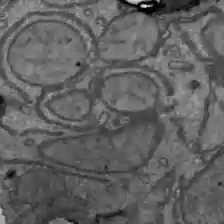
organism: C57BL Mouse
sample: Liver